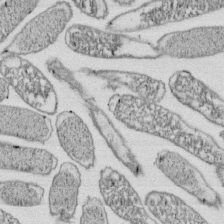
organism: E. coli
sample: Bacterial nucleoid